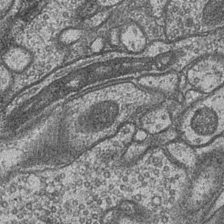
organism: Drosophila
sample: Optic medulla